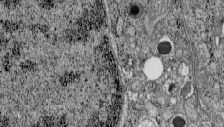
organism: C57BL Mouse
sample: Pancreatic islet